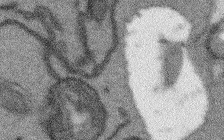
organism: Arabidopsis thaliana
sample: Root tip